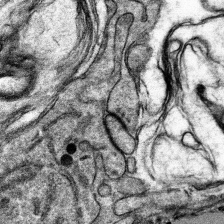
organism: Mouse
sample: Mouse hepatocytes